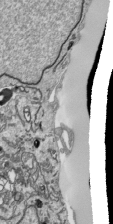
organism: Human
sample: Mitochondria in HCT116 cells